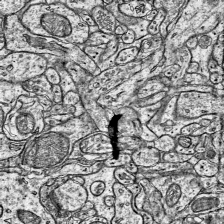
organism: Mouse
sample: Visual Cortex